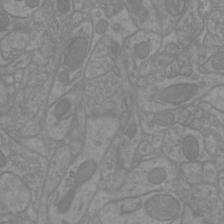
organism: Mouse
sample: Cortical neurons